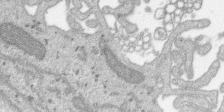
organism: Human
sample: Lung epithelial cells infected with SARS-CoV-2